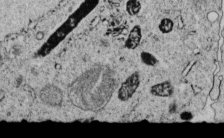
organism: C. elegans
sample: C. elegans embryo early stage